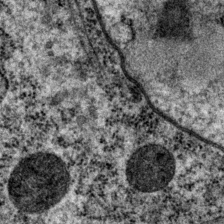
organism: P. pacificus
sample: Pharynx